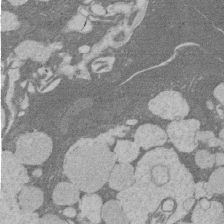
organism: Rat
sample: Salivary granule